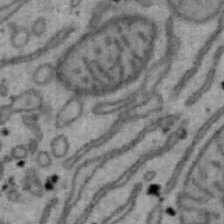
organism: Mouse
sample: Liver